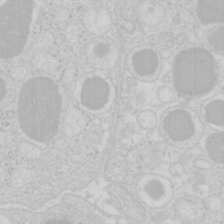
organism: Mouse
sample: Pancreas